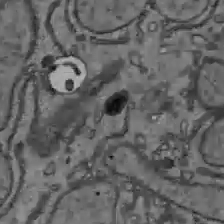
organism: C57BL Mouse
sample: Liver